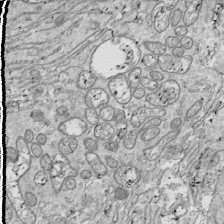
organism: Drosophila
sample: Cell division; meiosis; drosophila spermatocytes